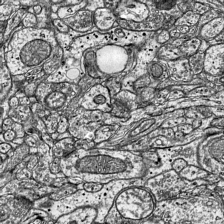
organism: Mouse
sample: Visual Cortex